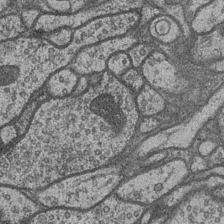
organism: Drosophila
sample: Optic medulla